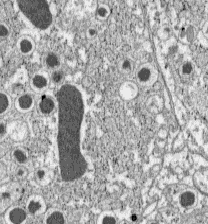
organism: C57BL Mouse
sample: Pancreatic islet